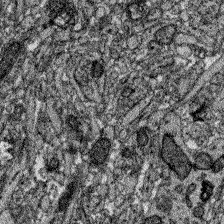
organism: Zebrafish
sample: Larval olfactory bulb